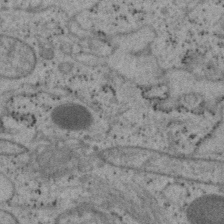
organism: Human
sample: HeLa cells